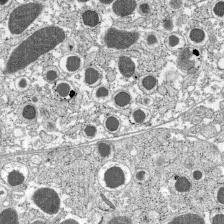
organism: C57BL Mouse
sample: Pancreatic islet